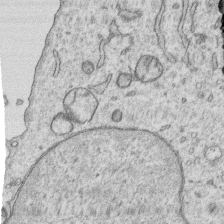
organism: Human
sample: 1205lu cells